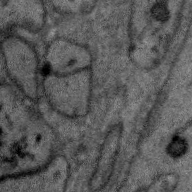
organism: Zebra finch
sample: Brain